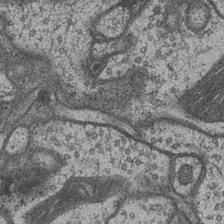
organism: Drosophila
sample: Optic medulla